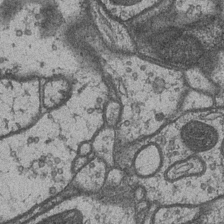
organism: Drosophila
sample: Optic medulla